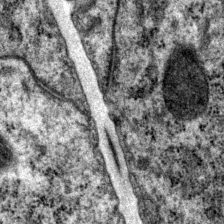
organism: P. pacificus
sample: Pharynx